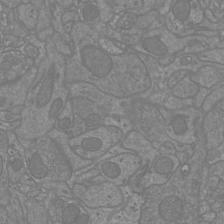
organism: Mouse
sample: Cortical neurons